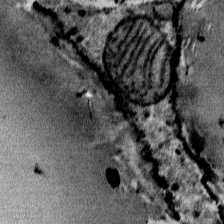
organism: Mouse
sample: Mouse Salivary gland